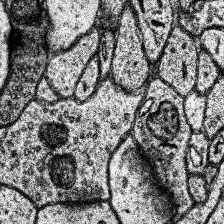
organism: Human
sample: Temporal Lobe